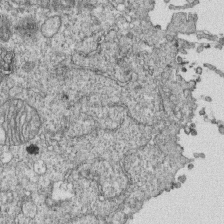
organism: Human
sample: HeLa cell HIV synapse